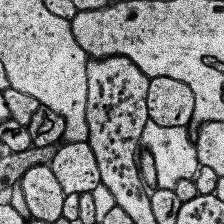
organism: Human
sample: Temporal Lobe